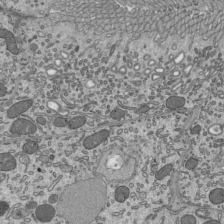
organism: Mouse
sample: Mouse epididymis efferent ductule cilia